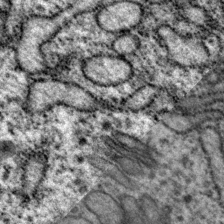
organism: P. pacificus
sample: Pharynx